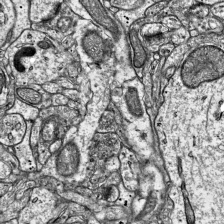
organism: Mouse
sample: Visual Cortex